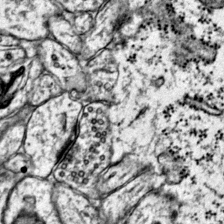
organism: Mouse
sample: Primary visual cortex